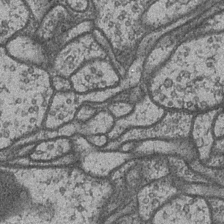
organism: Drosophila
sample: Optic medulla